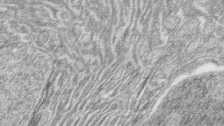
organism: Zebrafish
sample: synaptic ribbons in rod cells and cone cells